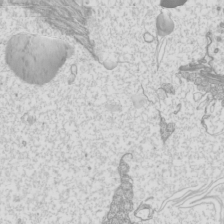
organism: Mouse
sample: Cilia; mouse epididymis